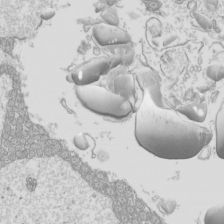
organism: Mouse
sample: Cilia; mouse epididymis